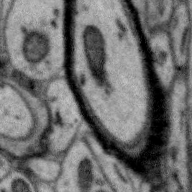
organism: Zebra finch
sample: Brain